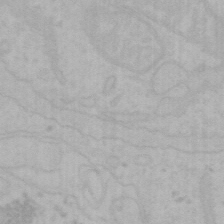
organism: Mouse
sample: Choroid plexus